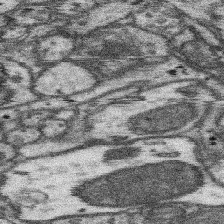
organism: Mouse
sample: Somatosensory cortex neuropil